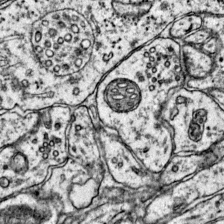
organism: Mouse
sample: Primary visual cortex